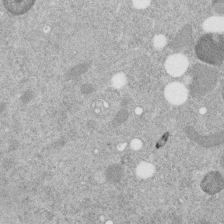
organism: C. elegans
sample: C. elegans embryo early stage